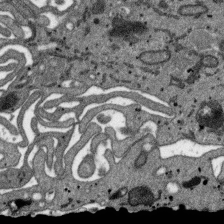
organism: Human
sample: Lung epithelial cells, uninfected (mock) control